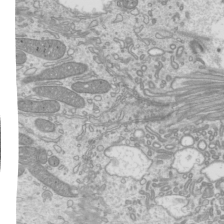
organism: Mouse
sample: Cilia; mouse epididymis